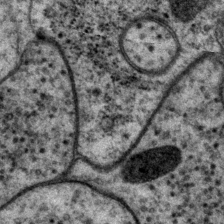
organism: P. pacificus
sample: Pharynx